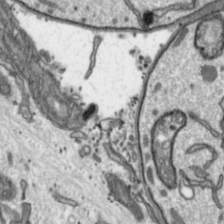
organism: Toxoplasma gondii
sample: Parasites in a vacuole inside a host cell